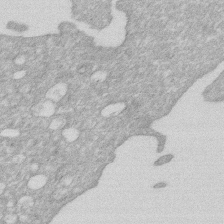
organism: Human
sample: HIV infected U937 cells